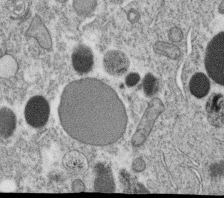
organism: C. elegans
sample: C. elegans oocyte; sperm cells